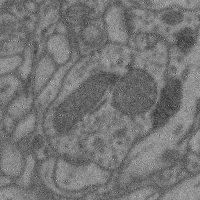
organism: Mouse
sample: Cerebral cortex